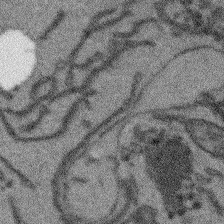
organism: Arabidopsis thaliana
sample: Root tip